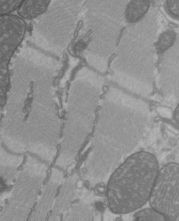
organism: C57BL Mouse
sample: Heart